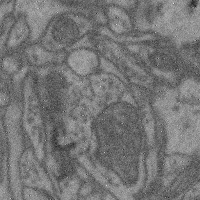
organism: Mouse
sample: Cerebral cortex